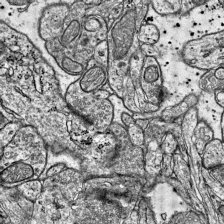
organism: Mouse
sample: Visual Cortex